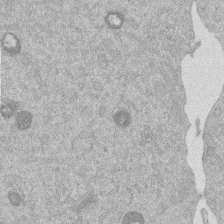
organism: Mouse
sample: Dividing mouse embryo 1 cell stage